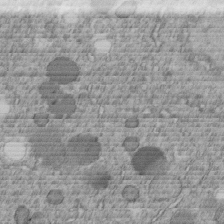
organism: C. elegans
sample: C. elegans embryo early stage